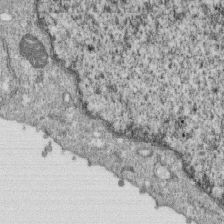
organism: African green monkey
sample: Vero E6 cells infected with SARS-CoV-2